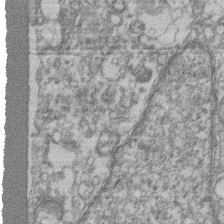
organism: Mouse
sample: T cell stromal cell synapse